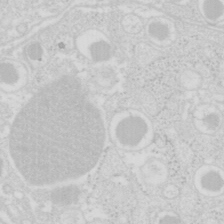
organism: Mouse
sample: Pancreas